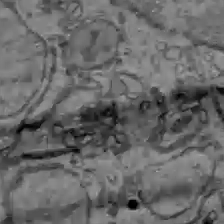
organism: C57BL Mouse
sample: Liver